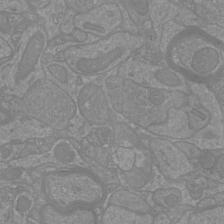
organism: Mouse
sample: Cortical neurons